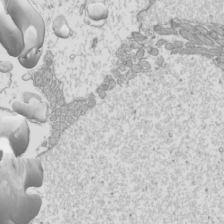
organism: Mouse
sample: Cilia; mouse epididymis